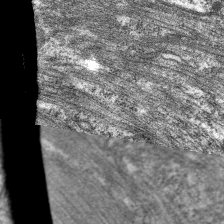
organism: C. elegans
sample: Pharynx